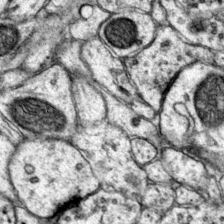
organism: Mouse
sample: Primary visual cortex